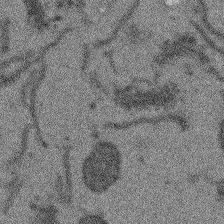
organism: Arabidopsis thaliana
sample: Root tip